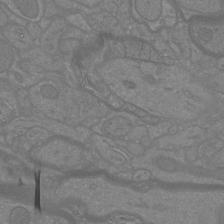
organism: Mouse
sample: Cortical neurons